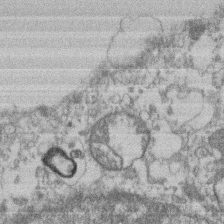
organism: Mouse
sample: T cell stromal cell synapse